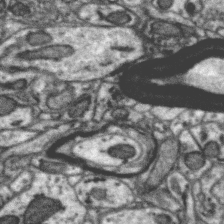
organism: Zebra finch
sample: Brain